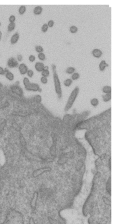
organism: Mouse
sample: ED-1 cell nuclei; centrioles